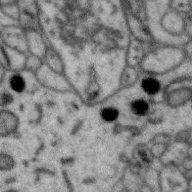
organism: Zebra finch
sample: Brain